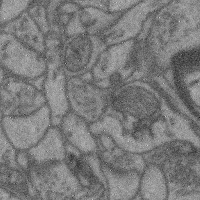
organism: Mouse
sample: Cerebral cortex